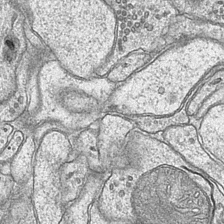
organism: Mouse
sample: CA1 Hippocampus